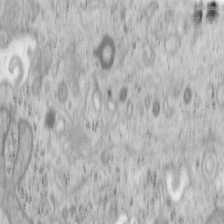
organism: Human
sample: HeLa cells